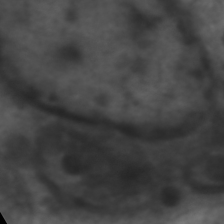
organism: C. elegans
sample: Pharynx